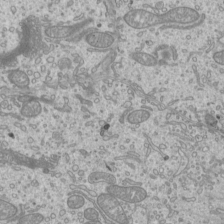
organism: Mouse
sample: Cilia; mouse epididymis